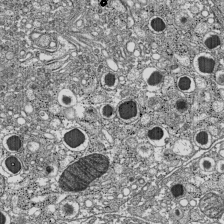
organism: C57BL Mouse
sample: Pancreatic islet